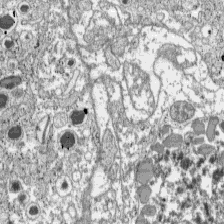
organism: C57BL Mouse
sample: Pancreatic islet